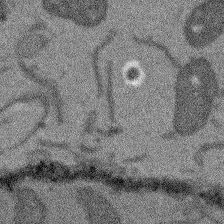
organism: Arabidopsis thaliana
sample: Root tip